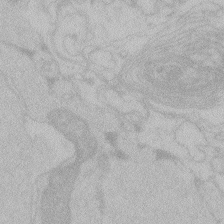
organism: Zebrafish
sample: Macrophage infected with Toxoplasma gondii